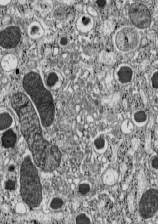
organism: C57BL Mouse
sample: Pancreatic islet